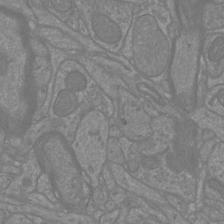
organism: Mouse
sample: Cortical neurons